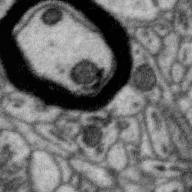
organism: Zebra finch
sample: Brain